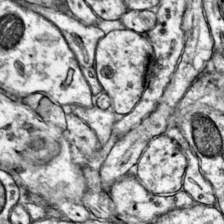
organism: Mouse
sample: Primary visual cortex